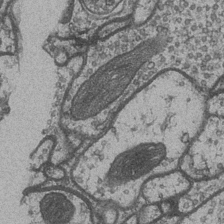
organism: Drosophila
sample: Optic medulla